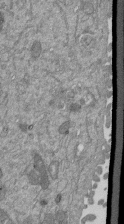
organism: Mouse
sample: ED-1 cell nuclei; centrioles